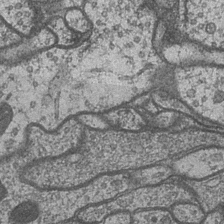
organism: Drosophila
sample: Optic medulla